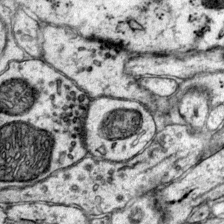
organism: Mouse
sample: Primary visual cortex